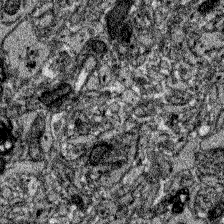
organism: Zebrafish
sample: Larval olfactory bulb